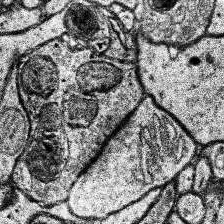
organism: Human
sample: Temporal Lobe